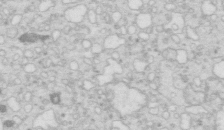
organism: Mouse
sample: Multiciliated cells